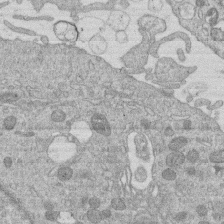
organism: Human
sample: Macrophage cells